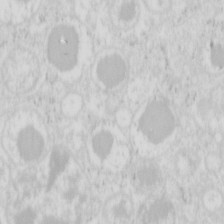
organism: Mouse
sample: Pancreas